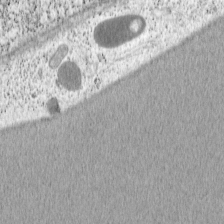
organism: African green monkey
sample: COS-7 cells